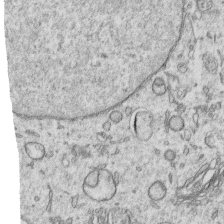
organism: Human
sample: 1205lu cells